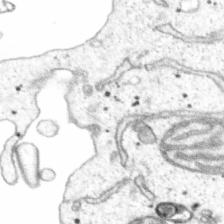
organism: Human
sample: HeLa cells